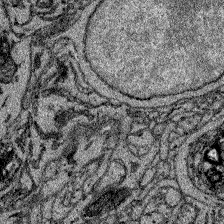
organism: Zebrafish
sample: Larval olfactory bulb